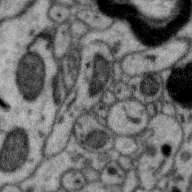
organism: Zebra finch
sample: Brain